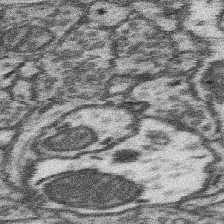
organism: Mouse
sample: Somatosensory cortex neuropil